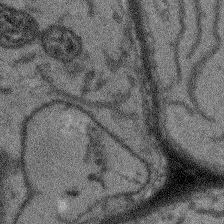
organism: Arabidopsis thaliana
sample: Root tip